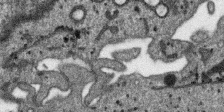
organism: Human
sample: Lung epithelial cells infected with SARS-CoV-2